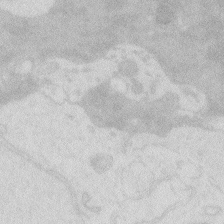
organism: Zebrafish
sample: Macrophage